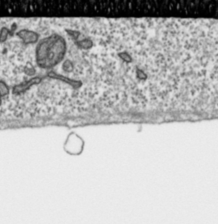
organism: Toxoplasma gondii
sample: Parasites in a vacuole inside a host cell